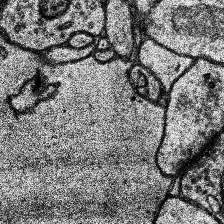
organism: Human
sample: Temporal Lobe